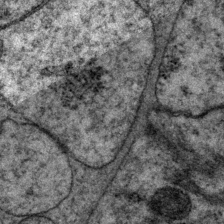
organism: P. pacificus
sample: Pharynx